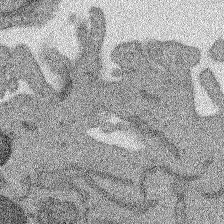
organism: Human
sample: HeLa cells